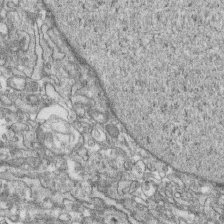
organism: Human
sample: CRL-1474